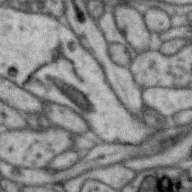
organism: Zebra finch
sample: Brain